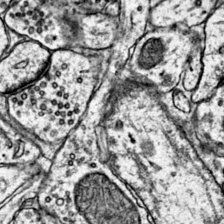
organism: Mouse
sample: Primary visual cortex